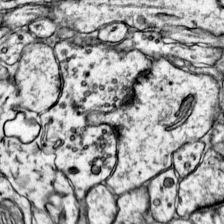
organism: Mouse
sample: Primary visual cortex